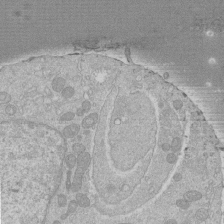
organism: Human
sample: Macrophage cells